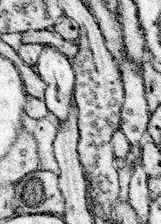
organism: Mouse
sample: Somatosensory cortex neuropil